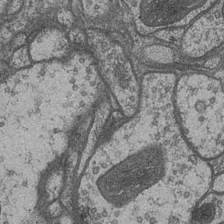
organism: Drosophila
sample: Optic medulla